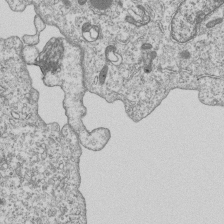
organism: Human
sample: MDA-MB-231 cells